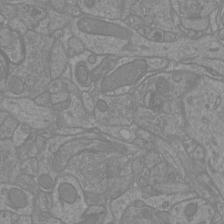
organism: Mouse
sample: Cortical neurons